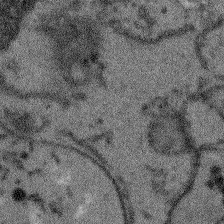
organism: Arabidopsis thaliana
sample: Root tip